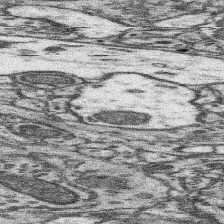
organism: Mouse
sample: Somatosensory cortex neuropil